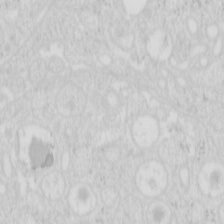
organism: Mouse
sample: Pancreas